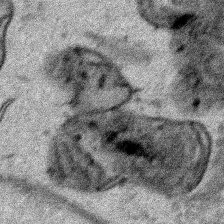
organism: Human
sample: Mitochondria in HCT116 cells